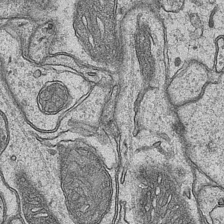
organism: Mouse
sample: CA1 Hippocampus